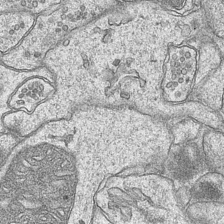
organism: Mouse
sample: CA1 Hippocampus